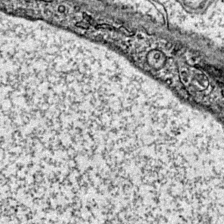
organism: Mouse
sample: Primary visual cortex